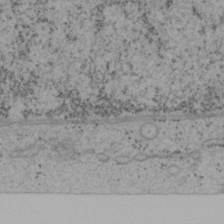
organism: Human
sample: HeLa cells